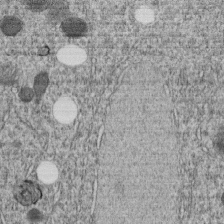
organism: C. elegans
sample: C. elegans embryo early stage